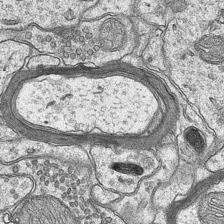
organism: Mouse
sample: CA1 Hippocampus